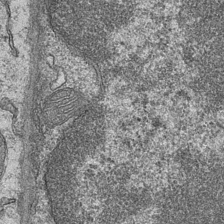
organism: Mouse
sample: CA1 Hippocampus